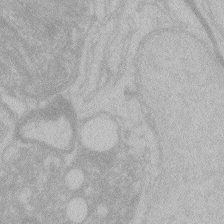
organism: Zebrafish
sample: Macrophage infected with Toxoplasma gondii